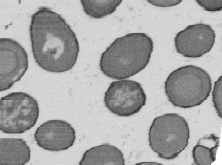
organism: B. subtilis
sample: Bacterial spore